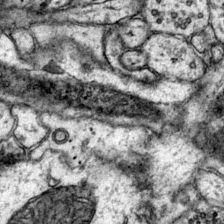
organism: Mouse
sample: Primary visual cortex